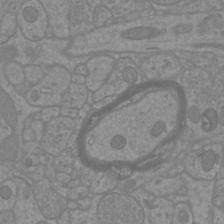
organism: Mouse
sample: Cortical neurons